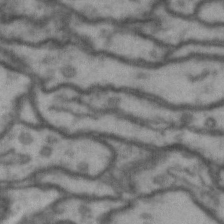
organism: Drosophila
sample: Brain